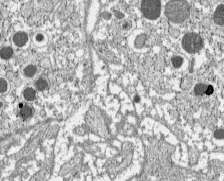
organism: C57BL Mouse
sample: Pancreatic islet